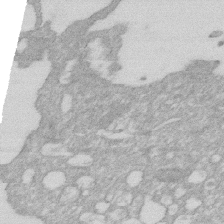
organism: Human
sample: HIV infected U937 cells